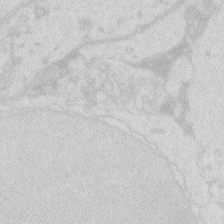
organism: Zebrafish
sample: Macrophage